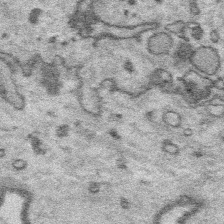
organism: Platynereis dumerilii